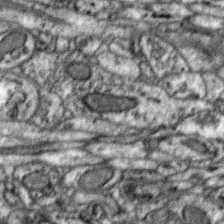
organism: Zebra finch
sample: Brain